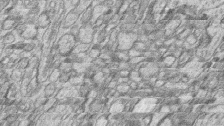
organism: Zebrafish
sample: synaptic ribbons in rod cells and cone cells